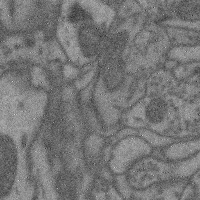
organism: Mouse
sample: Cerebral cortex